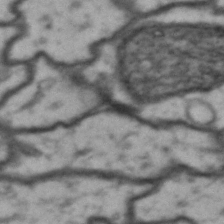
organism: Drosophila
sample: Brain